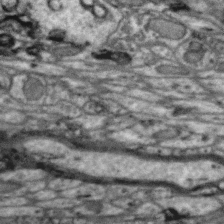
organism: Zebra finch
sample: Brain